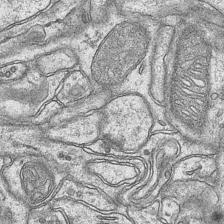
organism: Mouse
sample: CA1 Hippocampus